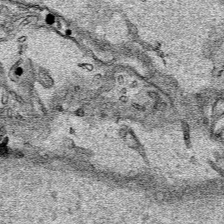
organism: Human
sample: Mitochondria in HCT116 cells